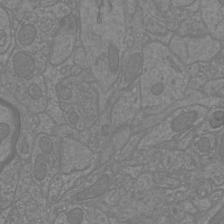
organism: Mouse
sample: Cortical neurons